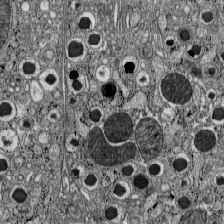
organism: C57BL Mouse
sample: Pancreatic islet